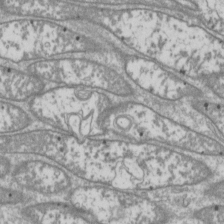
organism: Drosophila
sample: Cell division; meiosis; drosophila spermatocytes